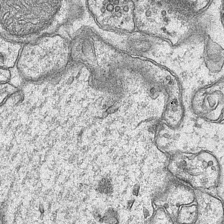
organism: Mouse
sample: CA1 Hippocampus